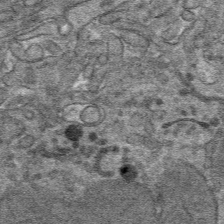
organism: Mouse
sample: Mouse hepatocytes